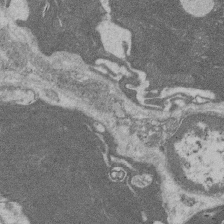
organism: Rat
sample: Salivary granule